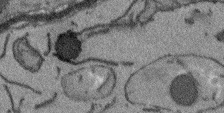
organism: Arabidopsis thaliana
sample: Root tip